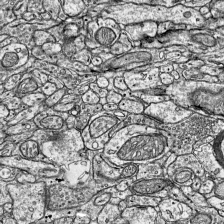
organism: Mouse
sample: Visual Cortex